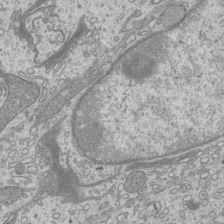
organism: Mouse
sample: Cilia; mouse epididymis